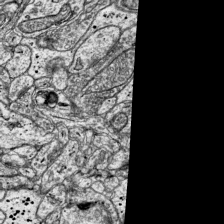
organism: Mouse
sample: Visual Cortex